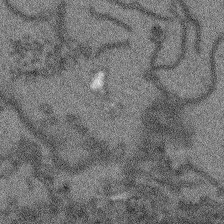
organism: Arabidopsis thaliana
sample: Root tip